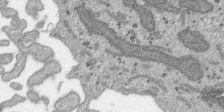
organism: Human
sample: Lung epithelial cells infected with SARS-CoV-2